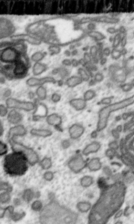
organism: Toxoplasma gondii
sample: Parasites in a vacuole inside a host cell